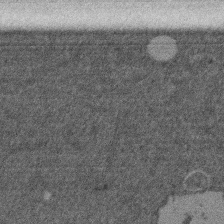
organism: Mouse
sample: Dividing mouse embryo 1 cell stage